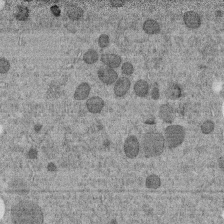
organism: C. elegans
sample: C. elegans embryo early stage